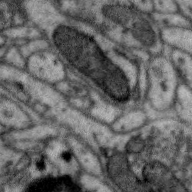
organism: Zebra finch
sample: Brain